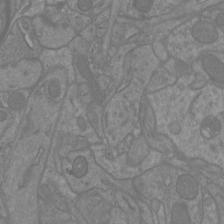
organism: Mouse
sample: Cortical neurons